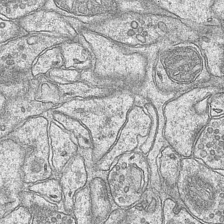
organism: Mouse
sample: CA1 Hippocampus